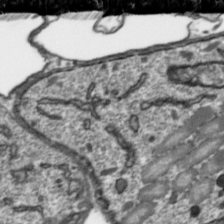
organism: Toxoplasma gondii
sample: Parasites in a vacuole inside a host cell